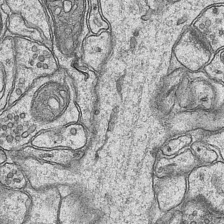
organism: Mouse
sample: CA1 Hippocampus